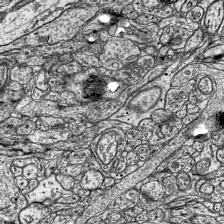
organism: Mouse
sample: Visual Cortex